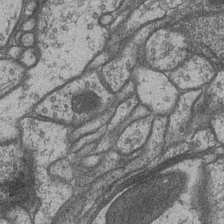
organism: Drosophila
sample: Optic medulla